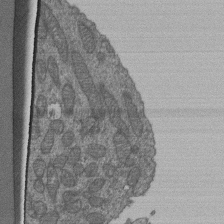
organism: Human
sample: Retinal organoid Rod and Cone cells